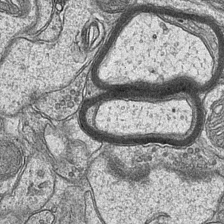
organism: Mouse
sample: CA1 Hippocampus